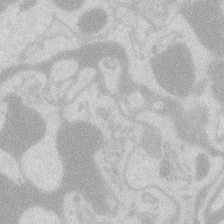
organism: Zebrafish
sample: Macrophage